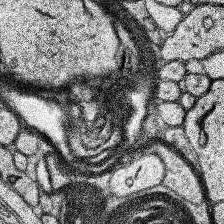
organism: Human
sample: Temporal Lobe